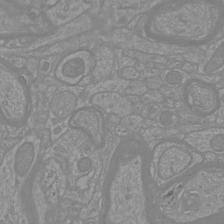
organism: Mouse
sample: Cortical neurons